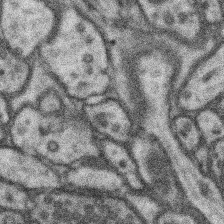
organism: Mouse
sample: Somatosensory cortex neuropil